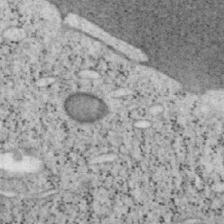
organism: Mouse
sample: OT-I killer T cells with ID8 ovarian cancer cells